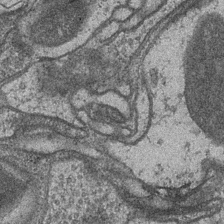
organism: Drosophila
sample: Optic medulla